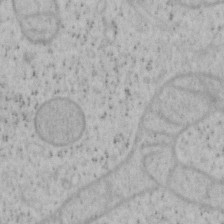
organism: Human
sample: HeLa cells